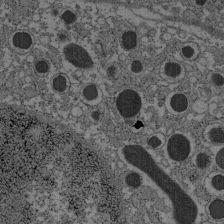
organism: C57BL Mouse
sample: Pancreatic islet